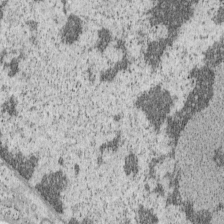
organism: Mouse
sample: OT-I killer T cells with ID8 ovarian cancer cells